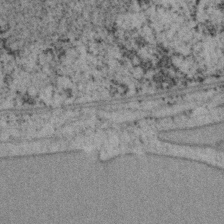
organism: Human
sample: HeLa cells